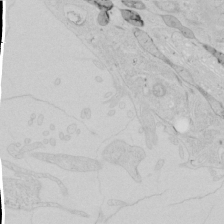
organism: Human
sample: Mitochondria in HCT116 cells